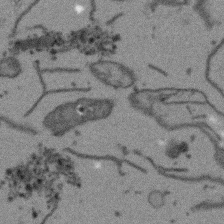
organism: Arabidopsis thaliana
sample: Root tip